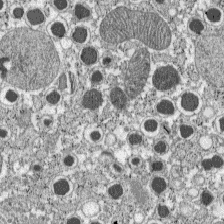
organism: C57BL Mouse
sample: Pancreatic islet